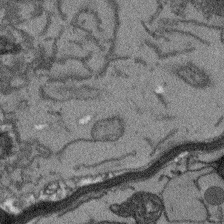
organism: Arabidopsis thaliana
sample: Root tip